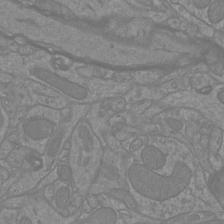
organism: Mouse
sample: Cortical neurons